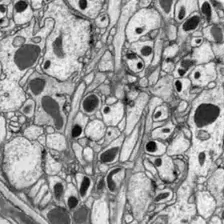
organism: Drosophila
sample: Optic lobe